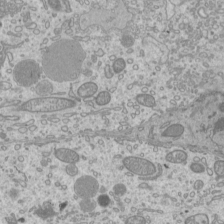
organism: Mouse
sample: Cilia; mouse epididymis